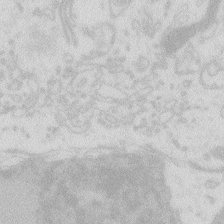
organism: Zebrafish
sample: Macrophage